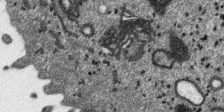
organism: Human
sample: Lung epithelial cells infected with SARS-CoV-2